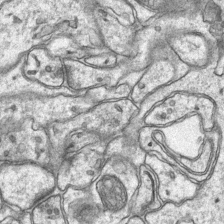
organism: Mouse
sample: CA1 Hippocampus